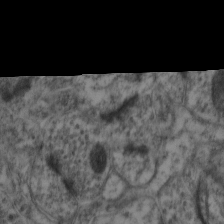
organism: Mouse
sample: Neocortex